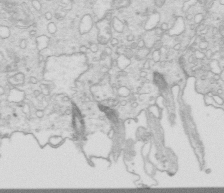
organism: Mouse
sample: Multiciliated cells